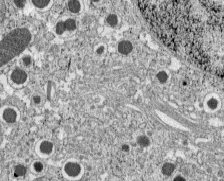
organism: C57BL Mouse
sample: Pancreatic islet